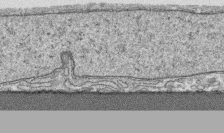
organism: Human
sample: CRL-1474